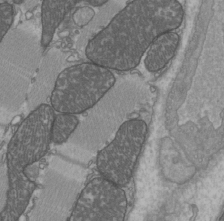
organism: C57BL Mouse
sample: Heart